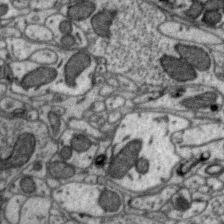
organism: Zebra finch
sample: Brain